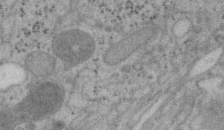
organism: Human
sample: HeLa cells